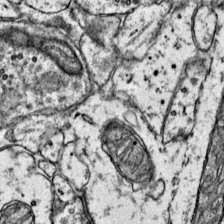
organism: Mouse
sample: Primary visual cortex